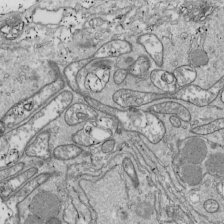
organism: Drosophila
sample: Cell division; meiosis; drosophila spermatocytes